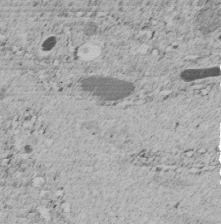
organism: C. elegans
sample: C. elegans embryo early stage